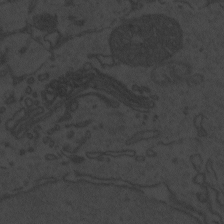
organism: Zebrafish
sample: Macrophage infected with Toxoplasma gondii